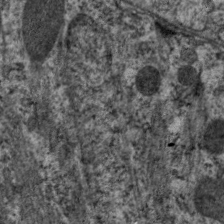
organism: C. elegans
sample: Pharynx